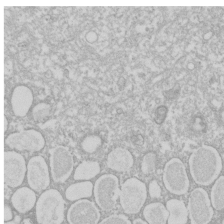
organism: Xenopus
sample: Cilia; centrioles in frog embryo cells